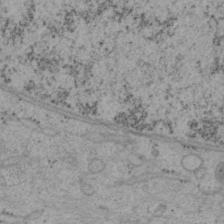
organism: Human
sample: HeLa cells